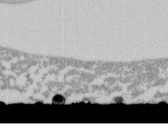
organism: C. elegans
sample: C. elegans embryo early stage